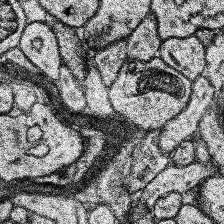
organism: Human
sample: Temporal Lobe